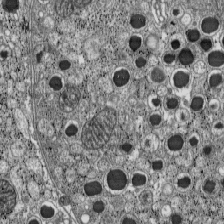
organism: C57BL Mouse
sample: Pancreatic islet